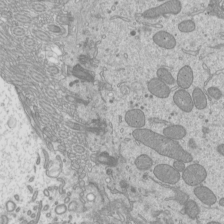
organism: Mouse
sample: Cilia; mouse epididymis